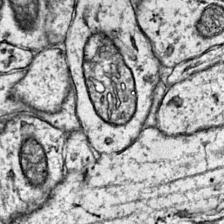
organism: Mouse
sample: Primary visual cortex